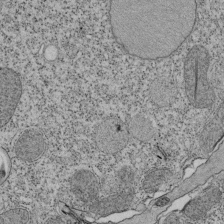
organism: Tetrahymena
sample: Cilia in tetrahymena